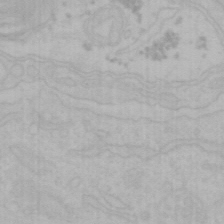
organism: Mouse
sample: Choroid plexus